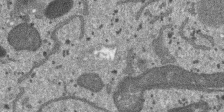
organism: Human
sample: Lung epithelial cells infected with SARS-CoV-2